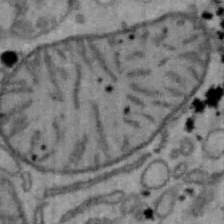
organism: Mouse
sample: Liver